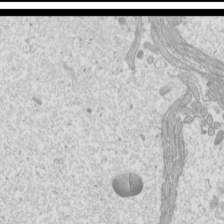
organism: Mouse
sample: Cilia; mouse epididymis